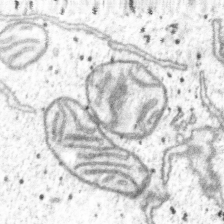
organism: Human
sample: HeLa cells